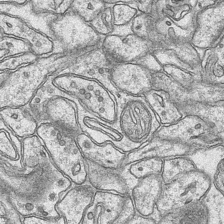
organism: Mouse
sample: CA1 Hippocampus